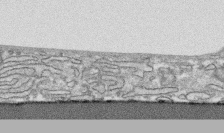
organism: Human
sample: CRL-1474